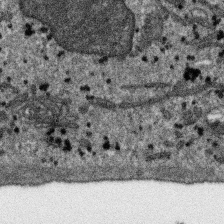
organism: Human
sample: Lung epithelial cells infected with SARS-CoV-2